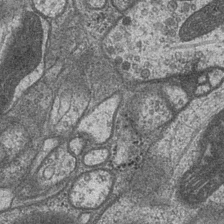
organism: Drosophila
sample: Optic medulla